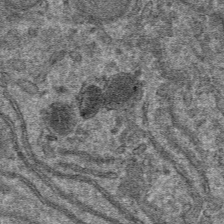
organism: Mouse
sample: Mouse hepatocytes